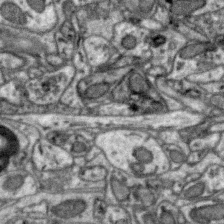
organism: Zebra finch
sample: Brain